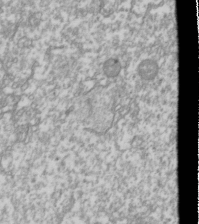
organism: Drosophila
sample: Cell division; meiosis; drosophila spermatocytes